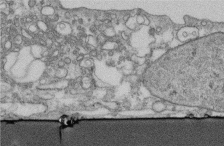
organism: Human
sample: Centriole in fibroblast cells